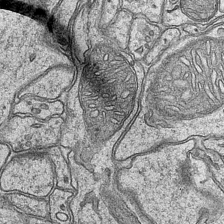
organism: Mouse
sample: CA1 Hippocampus